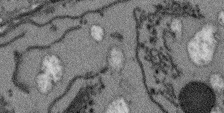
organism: Arabidopsis thaliana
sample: Root tip